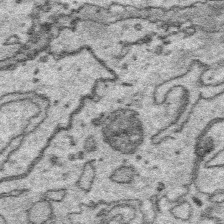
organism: Platynereis dumerilii